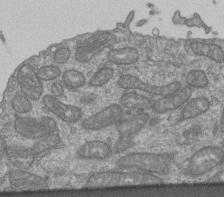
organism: Human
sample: Retinal organoid Rod and Cone cells